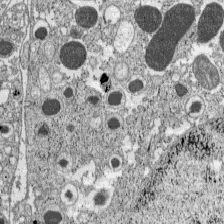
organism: C57BL Mouse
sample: Pancreatic islet